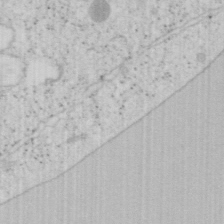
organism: Human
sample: HeLa cells